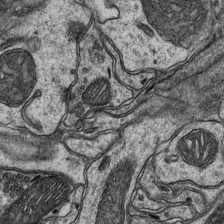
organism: Mouse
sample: CA1 Hippocampus